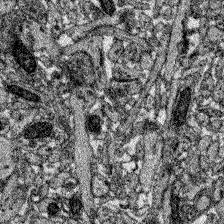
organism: Zebrafish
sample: Larval olfactory bulb